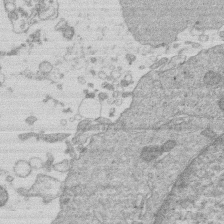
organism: Human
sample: Macrophage cells